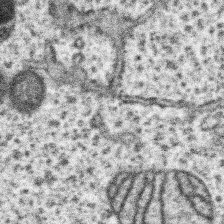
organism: Human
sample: HeLa cells